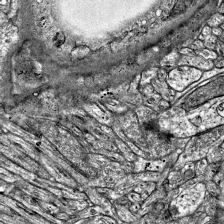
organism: Mouse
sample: Visual Cortex